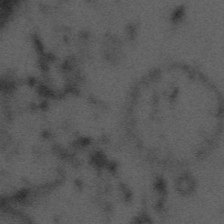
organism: Tuwongella immobilis